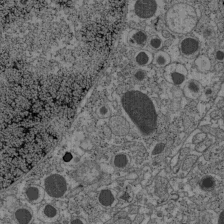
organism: C57BL Mouse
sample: Pancreatic islet